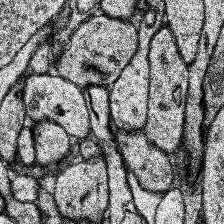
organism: Human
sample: Temporal Lobe